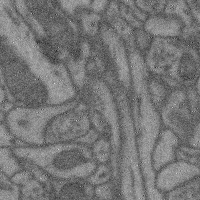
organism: Mouse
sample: Cerebral cortex